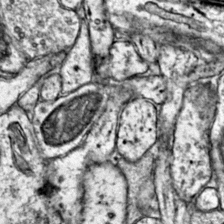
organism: Mouse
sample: Primary visual cortex